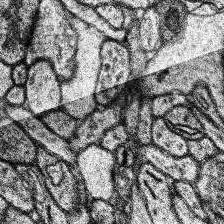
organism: Human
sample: Temporal Lobe